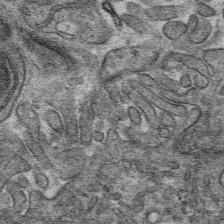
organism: Mouse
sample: Mouse hepatocytes